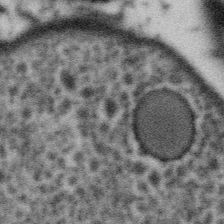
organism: Gemmata obscuriglobus